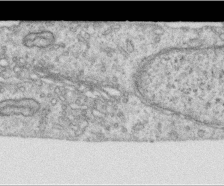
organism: Human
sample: Centriole in RPE cells